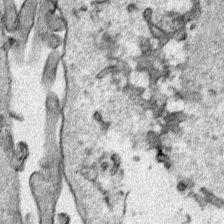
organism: Human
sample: Mitochondria in HCT116 cells